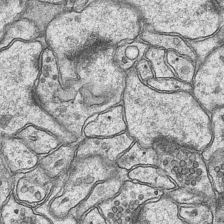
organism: Mouse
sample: CA1 Hippocampus